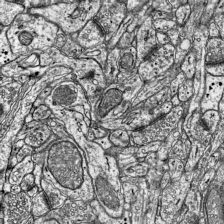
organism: Mouse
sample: Visual Cortex